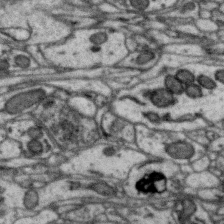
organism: Zebra finch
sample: Brain